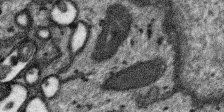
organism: Human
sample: Lung epithelial cells infected with SARS-CoV-2